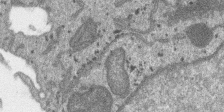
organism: Human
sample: Lung epithelial cells infected with SARS-CoV-2